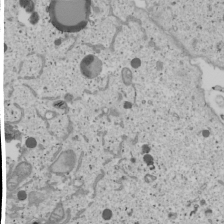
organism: Human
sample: Mitochondria in U2OS cells